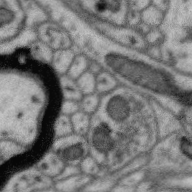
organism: Zebra finch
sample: Brain